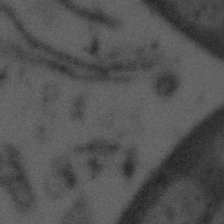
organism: Tuwongella immobilis